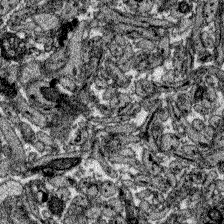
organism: Zebrafish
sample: Larval olfactory bulb